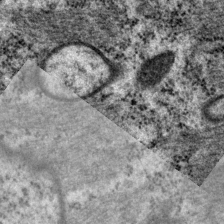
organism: P. pacificus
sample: Pharynx